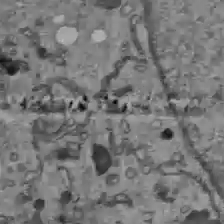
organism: C57BL Mouse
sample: Liver